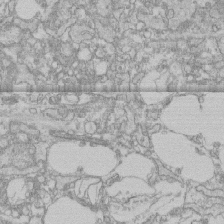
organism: Human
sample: CRL-1474